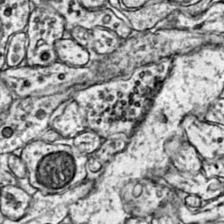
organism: Mouse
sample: Primary visual cortex